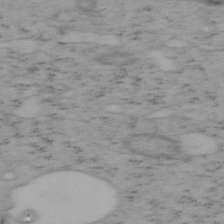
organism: Mouse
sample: OT-I killer T cells with ID8 ovarian cancer cells